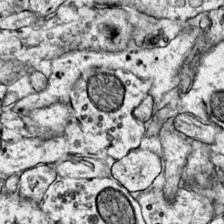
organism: Mouse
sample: Primary visual cortex